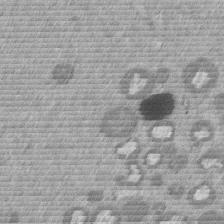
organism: Mouse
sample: Dividing mouse embryo 1 cell stage